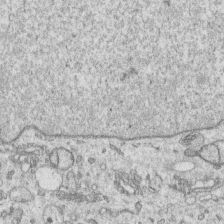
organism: Human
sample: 1205lu cells